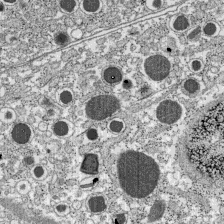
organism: C57BL Mouse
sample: Pancreatic islet